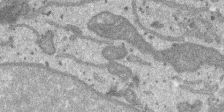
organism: Human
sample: Lung epithelial cells infected with SARS-CoV-2